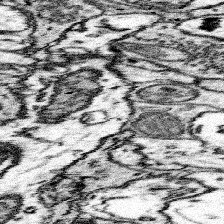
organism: Mouse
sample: Somatosensory cortex neuropil